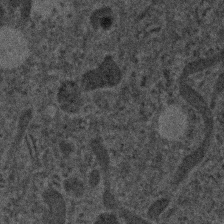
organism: Human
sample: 1205lu cells